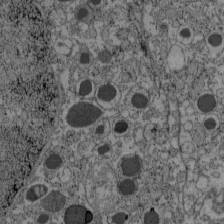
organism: C57BL Mouse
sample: Pancreatic islet